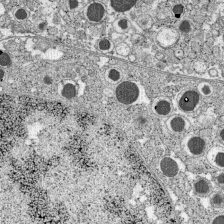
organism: C57BL Mouse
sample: Pancreatic islet